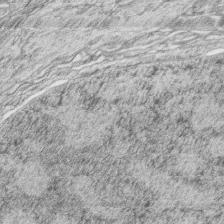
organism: Zebrafish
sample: synaptic ribbons in rod cells and cone cells